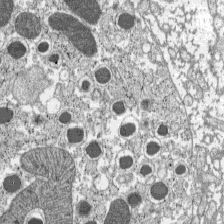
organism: C57BL Mouse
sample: Pancreatic islet